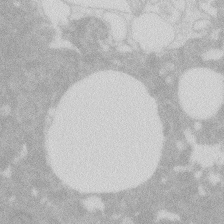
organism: Zebrafish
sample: Macrophage